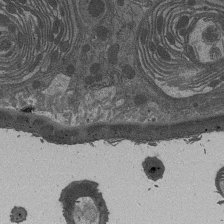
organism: Drosophila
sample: Antenna